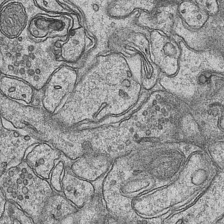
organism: Mouse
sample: CA1 Hippocampus